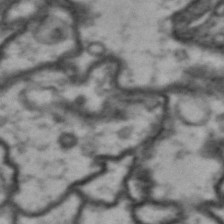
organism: Drosophila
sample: Brain